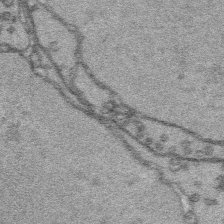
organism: Platynereis dumerilii